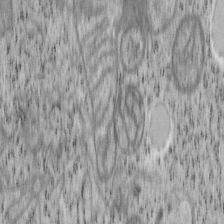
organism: Human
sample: HeLa cells